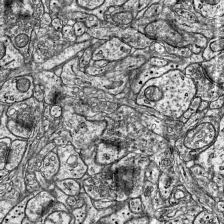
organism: Mouse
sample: Visual Cortex